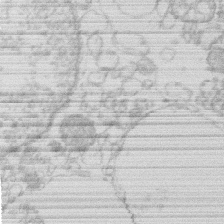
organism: Human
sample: Macrophage cells